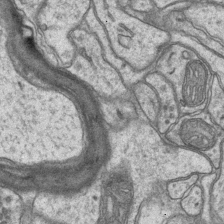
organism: Mouse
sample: CA1 Hippocampus